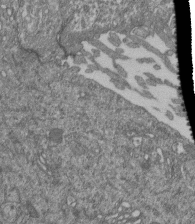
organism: Human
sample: Retinal organoid Rod and Cone cells